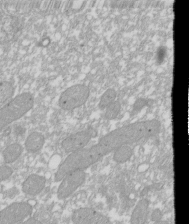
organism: Xenopus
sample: Cilia; centrioles in frog embryo cells